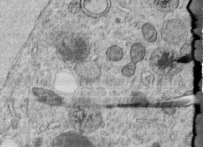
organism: C. elegans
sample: C. elegans embryo early stage